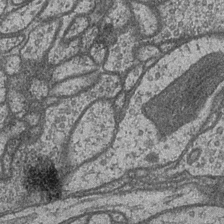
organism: Drosophila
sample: Optic medulla